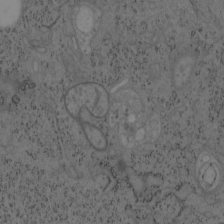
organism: Mouse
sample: OT-I killer T cells with ID8 ovarian cancer cells